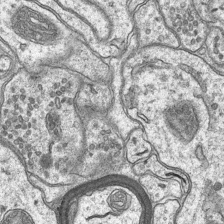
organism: Mouse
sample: CA1 Hippocampus